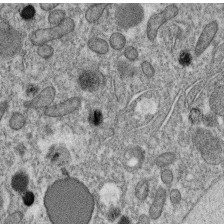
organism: C. elegans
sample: C. elegans oocyte; sperm cells